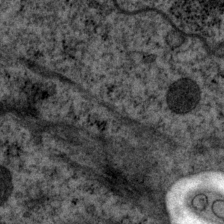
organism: P. pacificus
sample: Pharynx